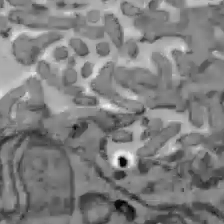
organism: C57BL Mouse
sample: Liver